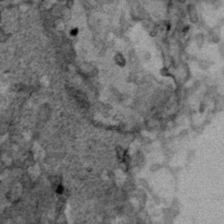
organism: Human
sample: Mitochondria in HCT116 cells